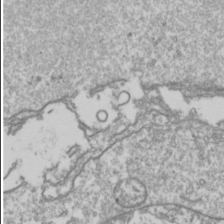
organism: Drosophila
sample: Cell division; meiosis; drosophila spermatocytes